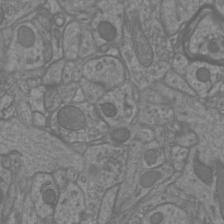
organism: Mouse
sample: Cortical neurons